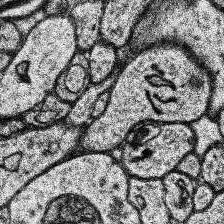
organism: Human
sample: Temporal Lobe